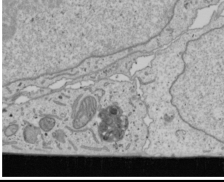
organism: Human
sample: Mitochondria in U2OS cells